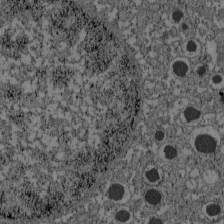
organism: C57BL Mouse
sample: Pancreatic islet